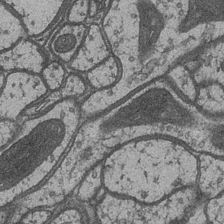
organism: Drosophila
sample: Optic medulla